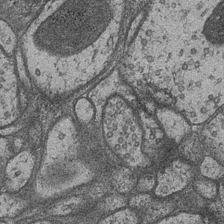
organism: Drosophila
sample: Optic medulla